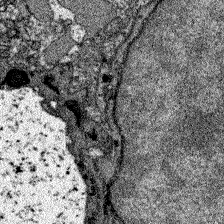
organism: Zebrafish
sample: Larval olfactory bulb